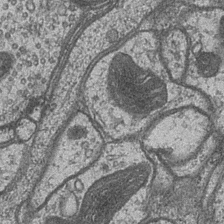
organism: Drosophila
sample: Optic medulla